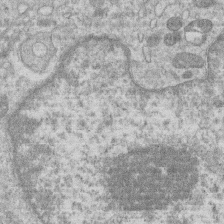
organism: Human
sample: Macrophage cells